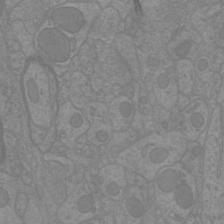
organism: Mouse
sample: Cortical neurons